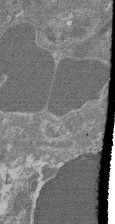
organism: Mouse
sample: Glomerulus